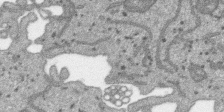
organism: Human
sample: Lung epithelial cells infected with SARS-CoV-2